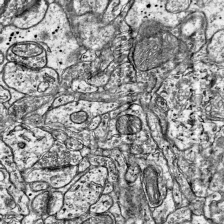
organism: Mouse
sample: Visual Cortex